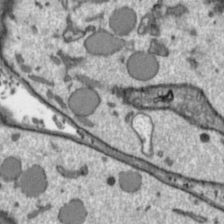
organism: Toxoplasma gondii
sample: Parasites in a vacuole inside a host cell